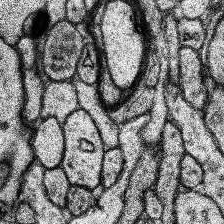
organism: Human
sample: Temporal Lobe